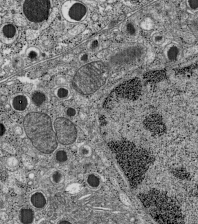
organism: C57BL Mouse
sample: Pancreatic islet